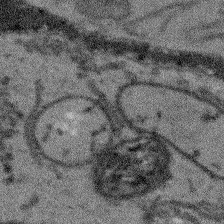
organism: Arabidopsis thaliana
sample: Root tip